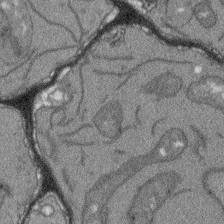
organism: Arabidopsis thaliana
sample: Root tip